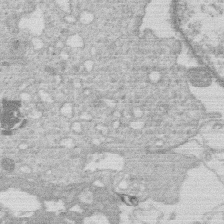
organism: Human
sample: Macrophage cells